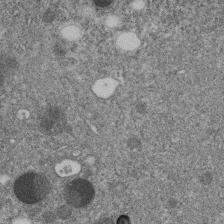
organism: C. elegans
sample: C. elegans embryo early stage